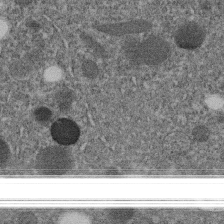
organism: C. elegans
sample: C. elegans embryo early stage